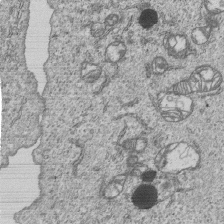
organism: Human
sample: MDA-MB-231 cells